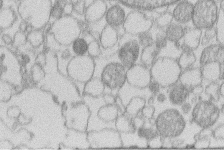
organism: Human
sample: Macrophage cells